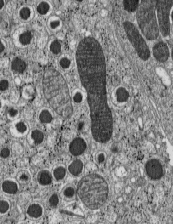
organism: C57BL Mouse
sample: Pancreatic islet